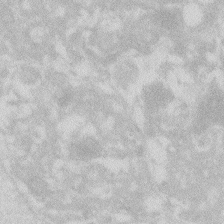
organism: Zebrafish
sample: Macrophage